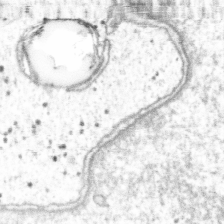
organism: Human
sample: HeLa cells